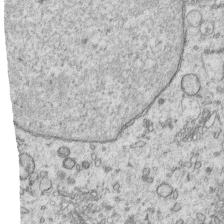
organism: Human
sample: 1205lu cells